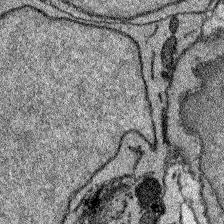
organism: Zebrafish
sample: Larval olfactory bulb